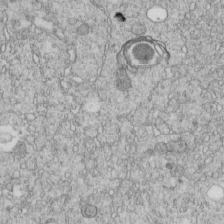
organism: C. elegans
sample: C. elegans embryo early stage